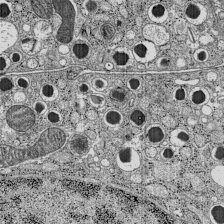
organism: C57BL Mouse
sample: Pancreatic islet